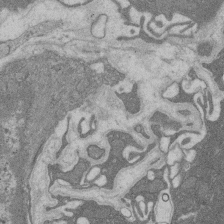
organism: Rat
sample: Salivary granule